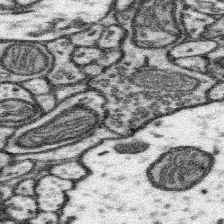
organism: Mouse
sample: Somatosensory cortex neuropil